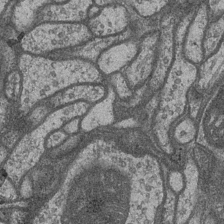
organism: Drosophila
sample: Optic medulla